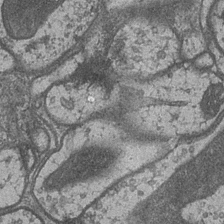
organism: Drosophila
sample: Optic medulla